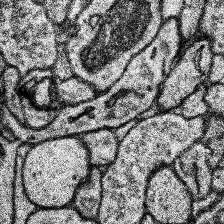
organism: Human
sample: Temporal Lobe